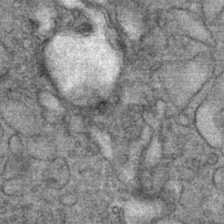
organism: Mouse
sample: Mouse Salivary gland